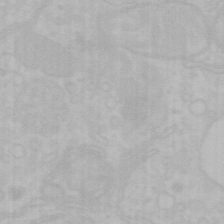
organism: Mouse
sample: Choroid plexus